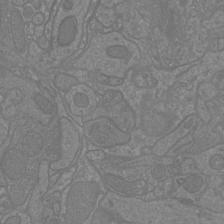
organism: Mouse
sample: Cortical neurons